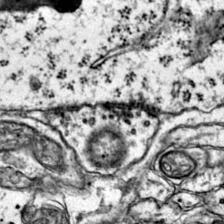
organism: Mouse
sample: Primary visual cortex